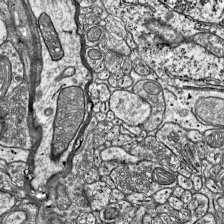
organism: Mouse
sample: Visual Cortex